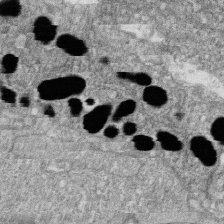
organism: Zebrafish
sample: Cilia; retinal pigment epithelium